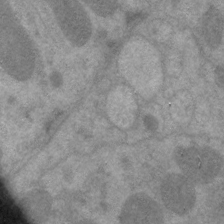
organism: C. elegans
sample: Pharynx